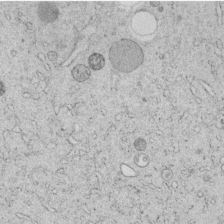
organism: C. elegans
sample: C. elegans embryo early stage